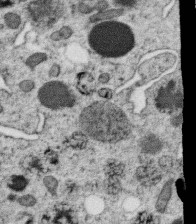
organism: C. elegans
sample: C. elegans oocyte; sperm cells